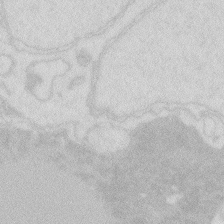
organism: Zebrafish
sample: Macrophage